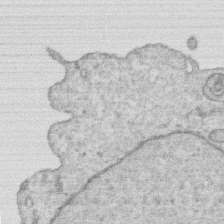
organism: Human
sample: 1205lu cells